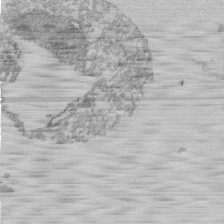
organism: Mouse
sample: Activated Pmel transgenic CD8+ T Cells